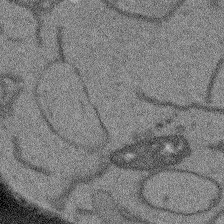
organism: Arabidopsis thaliana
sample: Root tip